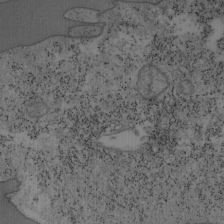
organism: Mouse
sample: OT-I killer T cells with ID8 ovarian cancer cells